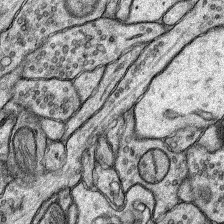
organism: Rat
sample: Hippocampus